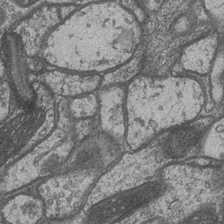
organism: Drosophila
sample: Optic medulla